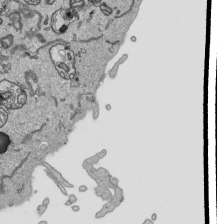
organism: Human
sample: Mitochondria in HCT116 cells